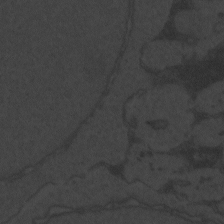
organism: Zebrafish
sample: Macrophage infected with Toxoplasma gondii